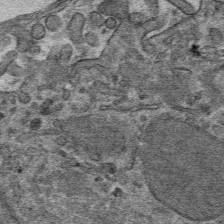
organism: Mouse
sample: Mouse hepatocytes